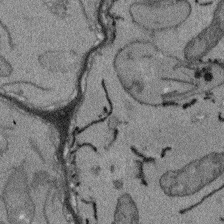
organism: Arabidopsis thaliana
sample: Root tip